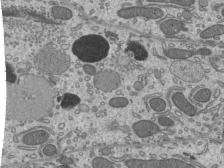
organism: Mouse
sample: Mouse epididymis efferent ductule cilia